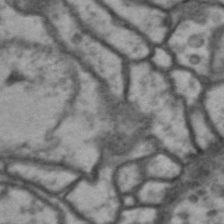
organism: Drosophila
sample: Brain